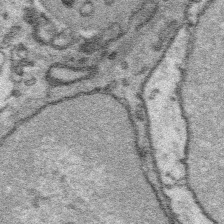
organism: Platynereis dumerilii